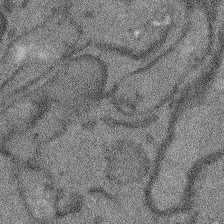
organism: Arabidopsis thaliana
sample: Root tip